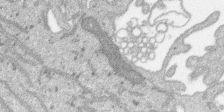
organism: Human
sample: Lung epithelial cells infected with SARS-CoV-2